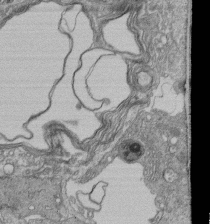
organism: Human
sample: Retinal organoid Rod and Cone cells